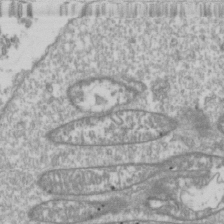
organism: Drosophila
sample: Cell division; meiosis; drosophila spermatocytes